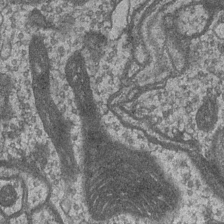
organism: Drosophila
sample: Optic medulla